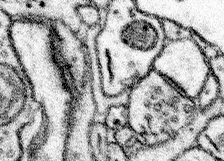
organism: Mouse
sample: Somatosensory cortex neuropil